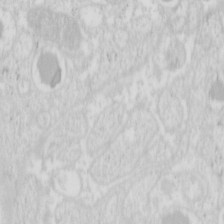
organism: Mouse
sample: Pancreas